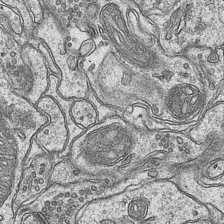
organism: Mouse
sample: CA1 Hippocampus